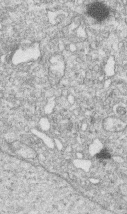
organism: Human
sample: HeLa cell HIV synapse